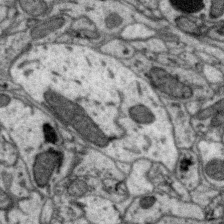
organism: Zebra finch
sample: Brain